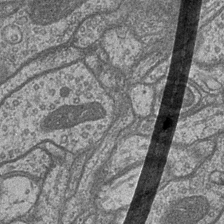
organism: Drosophila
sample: Optic medulla